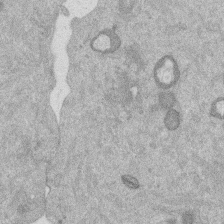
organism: Mouse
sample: Dividing mouse embryo 1 cell stage